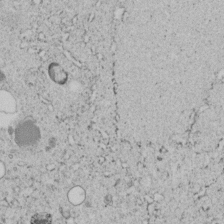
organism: C. elegans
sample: C. elegans embryo early stage